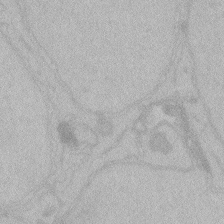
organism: Zebrafish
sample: Macrophage infected with Toxoplasma gondii